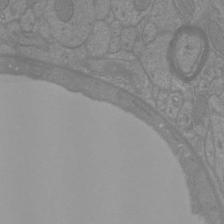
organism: Mouse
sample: Cortical neurons